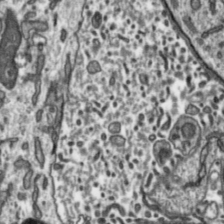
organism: Toxoplasma gondii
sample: Parasites in a vacuole inside a host cell